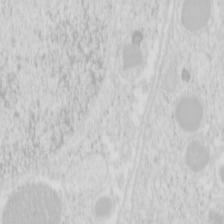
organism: Mouse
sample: Pancreas